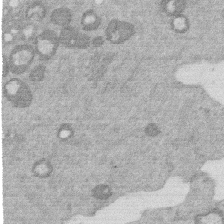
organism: Mouse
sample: Dividing mouse embryo 1 cell stage